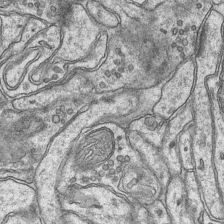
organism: Mouse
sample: CA1 Hippocampus